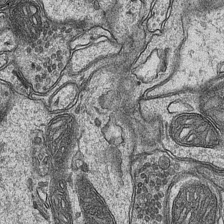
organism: Mouse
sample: CA1 Hippocampus